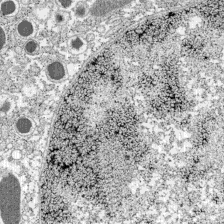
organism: C57BL Mouse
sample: Pancreatic islet